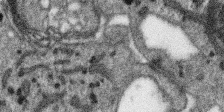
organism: Human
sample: Lung epithelial cells infected with SARS-CoV-2